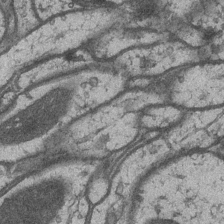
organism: Drosophila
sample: Optic medulla